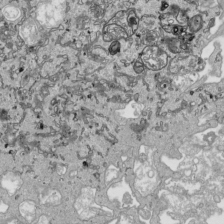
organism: Human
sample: Mitochondria in HCT116 cells